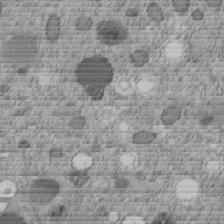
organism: C. elegans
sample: C. elegans embryo early stage